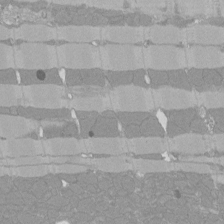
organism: Rat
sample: Left ventricle